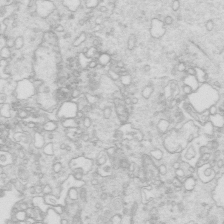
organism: Mouse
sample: Multiciliated cells